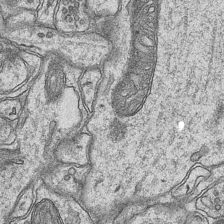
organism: Mouse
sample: CA1 Hippocampus